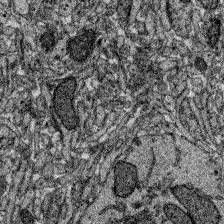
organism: Zebrafish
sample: Larval olfactory bulb